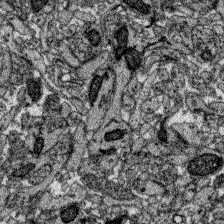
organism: Zebrafish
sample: Larval olfactory bulb